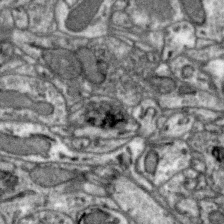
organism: Zebra finch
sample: Brain